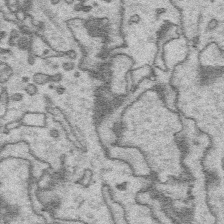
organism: Platynereis dumerilii